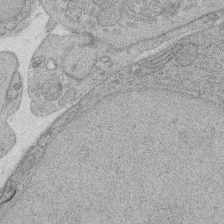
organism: Rat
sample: Salivary granule